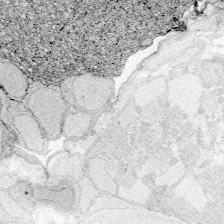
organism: Zebrafish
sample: Whole-Brain